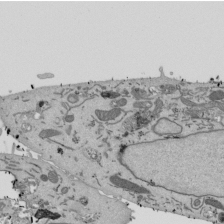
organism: Mouse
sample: ED-1 cell nuclei; centrioles